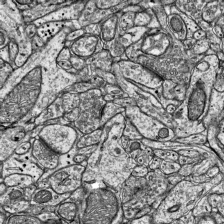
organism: Mouse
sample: Visual Cortex